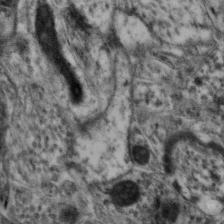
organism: Mouse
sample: Neocortex